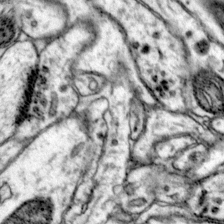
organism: Mouse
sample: Primary visual cortex